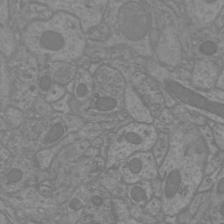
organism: Mouse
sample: Cortical neurons